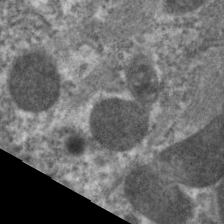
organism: C. elegans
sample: Pharynx